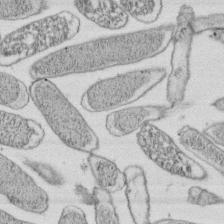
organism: E. coli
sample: Bacterial nucleoid